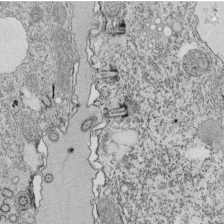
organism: Tetrahymena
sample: Cilia in tetrahymena